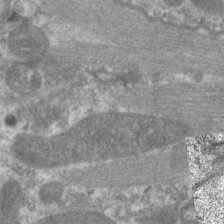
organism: C. elegans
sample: Pharynx